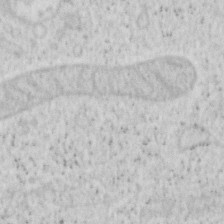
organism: Human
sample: HeLa cells